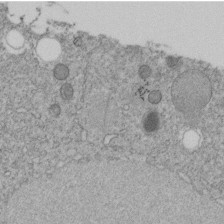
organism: C. elegans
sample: C. elegans embryo early stage